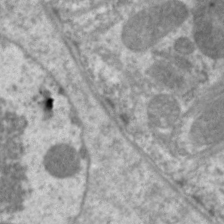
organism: C. elegans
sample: Pharynx